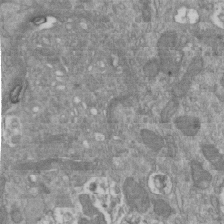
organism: Mouse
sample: ED-1 cell nuclei; centrioles